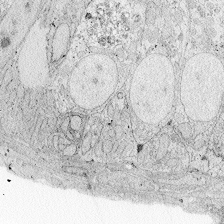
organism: Zebrafish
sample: Whole-Brain